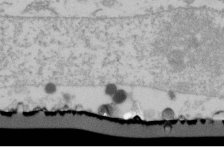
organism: Human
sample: U2-OS cells